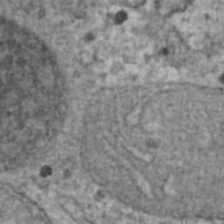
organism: Human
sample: Blood